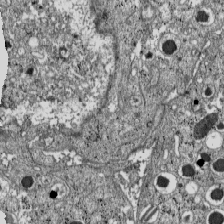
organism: C57BL Mouse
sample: Pancreatic islet